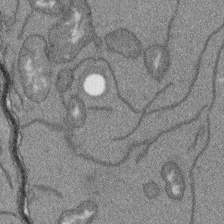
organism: Arabidopsis thaliana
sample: Root tip